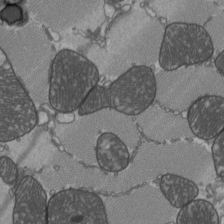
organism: C57BL Mouse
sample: Heart